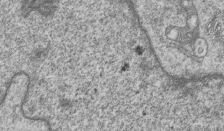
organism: Human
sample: MDA-MB-231 cells